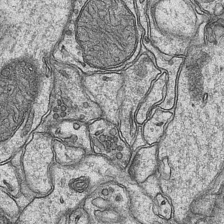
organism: Mouse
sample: CA1 Hippocampus